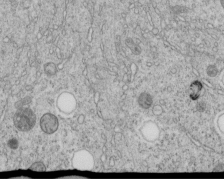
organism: C. elegans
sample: C. elegans embryo early stage